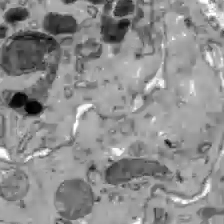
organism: C57BL Mouse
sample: Liver